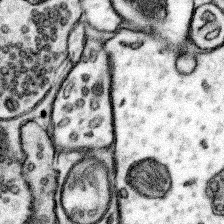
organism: Mouse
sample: Somatosensory cortex neuropil